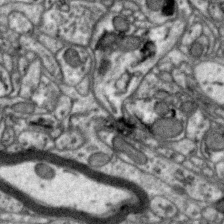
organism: Zebra finch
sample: Brain